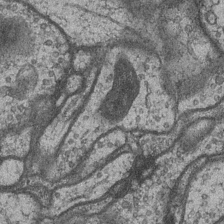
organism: Drosophila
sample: Optic medulla